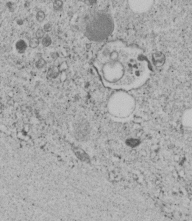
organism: C. elegans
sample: C. elegans embryo early stage